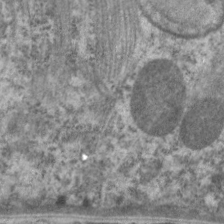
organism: C. elegans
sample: Pharynx